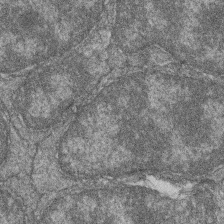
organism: Zebrafish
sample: Cilia; retinal pigment epithelium